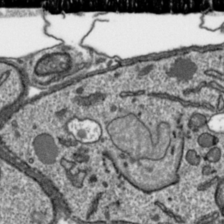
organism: Toxoplasma gondii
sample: Parasites in a vacuole inside a host cell